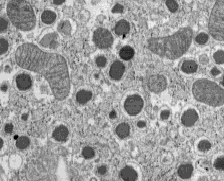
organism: C57BL Mouse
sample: Pancreatic islet